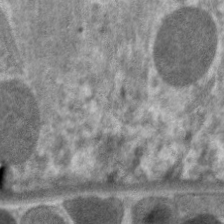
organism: C. elegans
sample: Pharynx